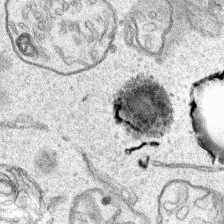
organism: Human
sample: Mitochondria in HCT116 cells